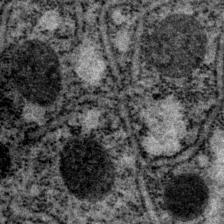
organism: P. pacificus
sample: Pharynx